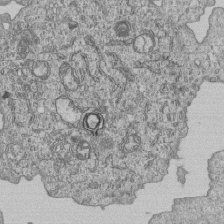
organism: Human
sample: MDA-MB-231 cells